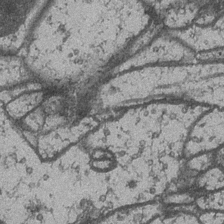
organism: Drosophila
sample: Optic medulla